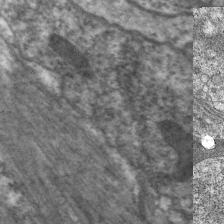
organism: C. elegans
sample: Pharynx